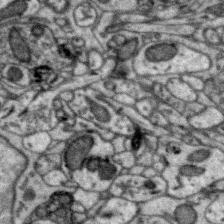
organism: Zebra finch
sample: Brain